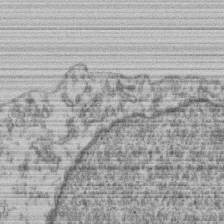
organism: Mouse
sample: T cell stromal cell synapse